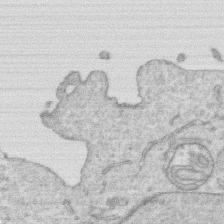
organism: Human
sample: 1205lu cells